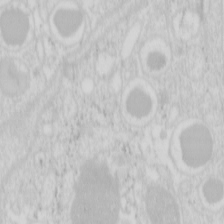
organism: Mouse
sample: Pancreas